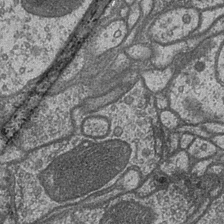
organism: Drosophila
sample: Optic medulla